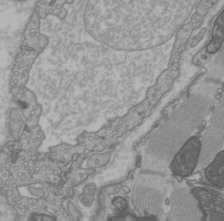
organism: C57BL Mouse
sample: Heart